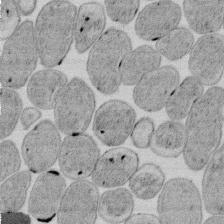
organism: E. coli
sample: Bacterial nucleoid